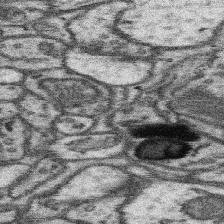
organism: Mouse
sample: Somatosensory cortex neuropil